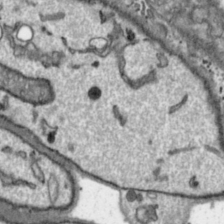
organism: Toxoplasma gondii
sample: Parasites in a vacuole inside a host cell